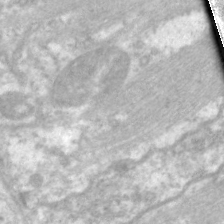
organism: C. elegans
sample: Pharynx